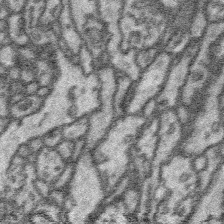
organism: Platynereis dumerilii